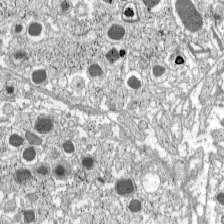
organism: C57BL Mouse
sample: Pancreatic islet